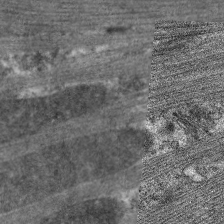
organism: C. elegans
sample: Pharynx